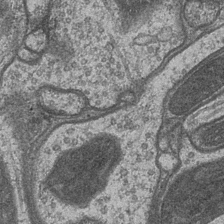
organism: Drosophila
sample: Optic medulla